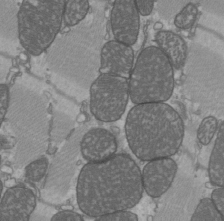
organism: C57BL Mouse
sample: Heart